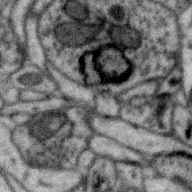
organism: Zebra finch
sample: Brain